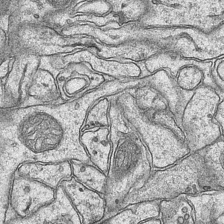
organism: Mouse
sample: CA1 Hippocampus